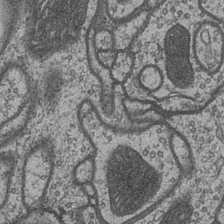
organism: Drosophila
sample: Optic medulla